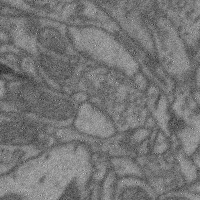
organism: Mouse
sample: Cerebral cortex